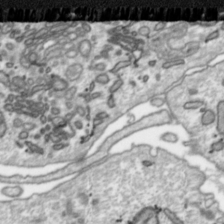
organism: Toxoplasma gondii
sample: Parasites in a vacuole inside a host cell